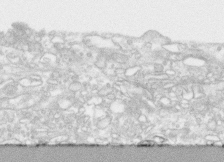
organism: Human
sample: CRL-1474